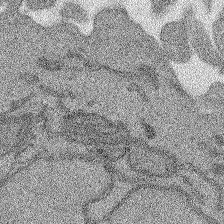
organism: Human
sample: HeLa cells